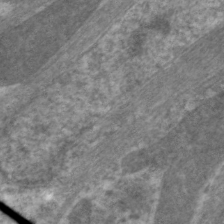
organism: C. elegans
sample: Pharynx